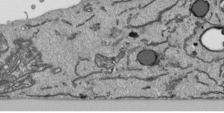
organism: Human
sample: Mitochondria in HCT116 cells